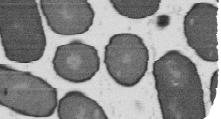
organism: B. subtilis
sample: Bacterial spore